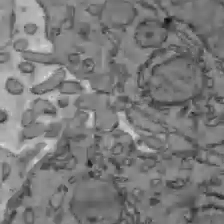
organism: C57BL Mouse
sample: Liver